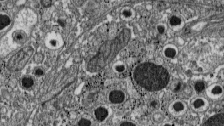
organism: C57BL Mouse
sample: Pancreatic islet